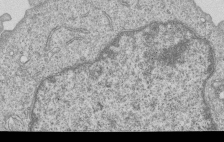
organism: Human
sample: MDA-MB-231 cells